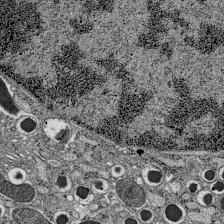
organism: C57BL Mouse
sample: Pancreatic islet